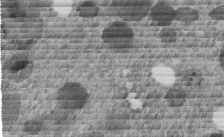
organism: C. elegans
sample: C. elegans embryo early stage